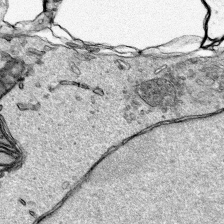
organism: Human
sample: Mitochondria in HCT116 cells